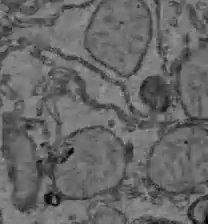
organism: C57BL Mouse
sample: Liver